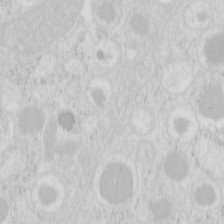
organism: Mouse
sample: Pancreas